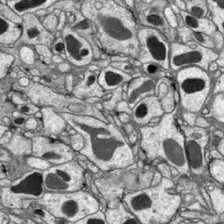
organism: Drosophila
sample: Optic lobe